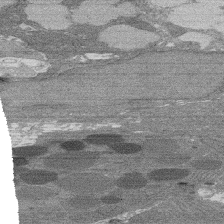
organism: Rat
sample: Salivary granule